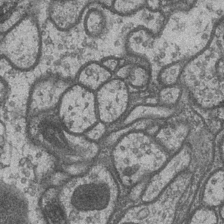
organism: Drosophila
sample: Optic medulla